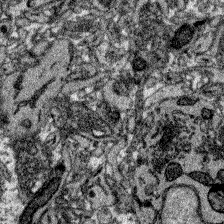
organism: Zebrafish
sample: Larval olfactory bulb